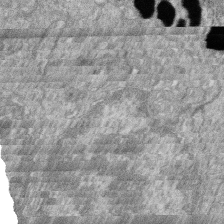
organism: Zebrafish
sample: Cilia; retinal pigment epithelium